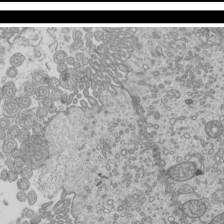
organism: Mouse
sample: Cilia; mouse epididymis